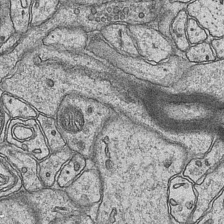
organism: Mouse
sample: CA1 Hippocampus